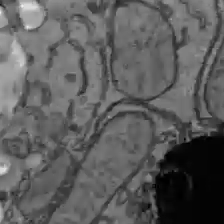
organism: C57BL Mouse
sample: Liver